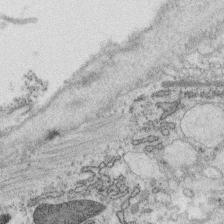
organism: C. elegans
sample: C. elegans oocyte; sperm cells